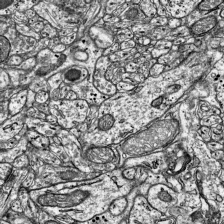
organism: Mouse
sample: Visual Cortex